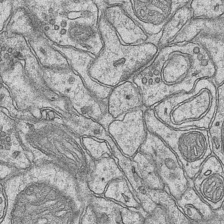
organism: Mouse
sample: CA1 Hippocampus